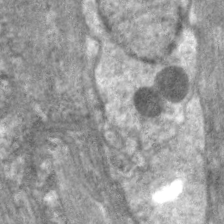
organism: C. elegans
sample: Pharynx